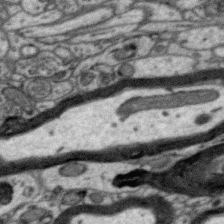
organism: Zebra finch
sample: Brain